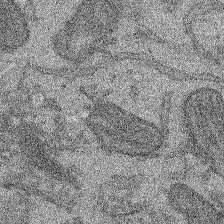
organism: Human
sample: HeLa cells